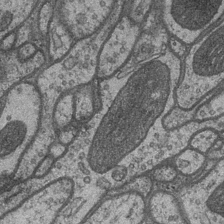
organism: Drosophila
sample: Optic medulla